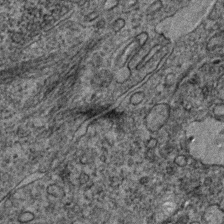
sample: Trachea